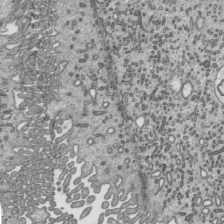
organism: Mouse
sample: Mouse epididymis efferent ductule cilia